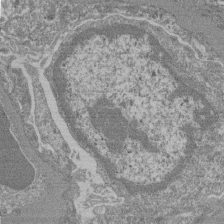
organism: Mouse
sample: Glomerulus